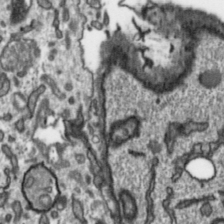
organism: Toxoplasma gondii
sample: Parasites in a vacuole inside a host cell